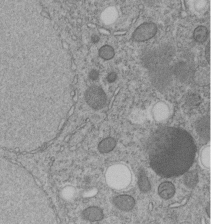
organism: C. elegans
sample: C. elegans embryo early stage